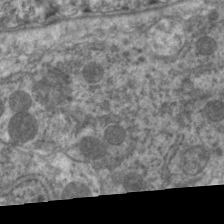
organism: C. elegans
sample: Pharynx